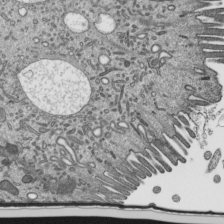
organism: Mouse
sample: Mouse epididymis efferent ductule cilia